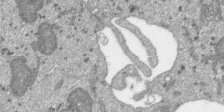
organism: Human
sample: Lung epithelial cells infected with SARS-CoV-2